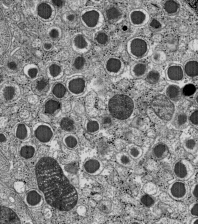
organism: C57BL Mouse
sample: Pancreatic islet